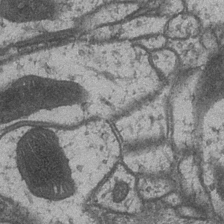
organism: Drosophila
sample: Optic medulla